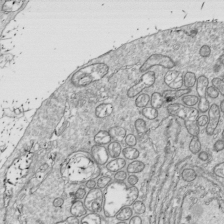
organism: Drosophila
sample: Cell division; meiosis; drosophila spermatocytes